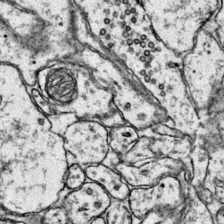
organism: Mouse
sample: Primary visual cortex